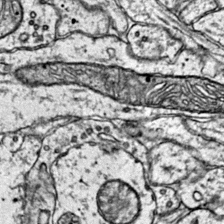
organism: Mouse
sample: Primary visual cortex